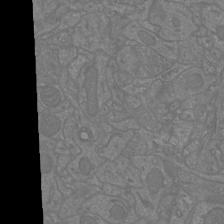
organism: Mouse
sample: Cortical neurons